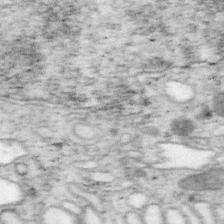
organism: Mouse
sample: OT-I killer T cells with ID8 ovarian cancer cells